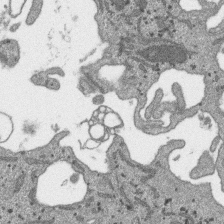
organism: Human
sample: Lung epithelial cells infected with SARS-CoV-2